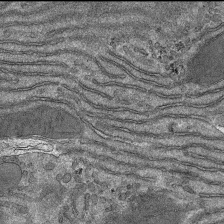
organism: Mouse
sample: Mouse hepatocytes